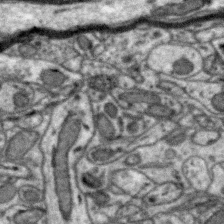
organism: Zebra finch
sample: Brain